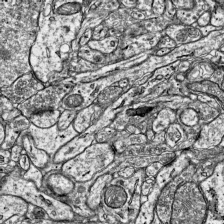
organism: Mouse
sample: Visual Cortex